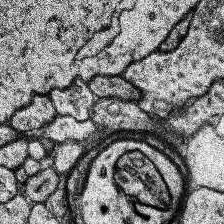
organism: Human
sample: Temporal Lobe